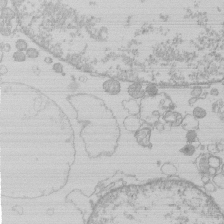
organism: Human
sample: Macrophage cells